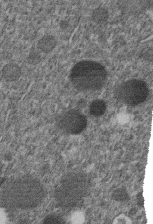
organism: C. elegans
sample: C. elegans embryo early stage